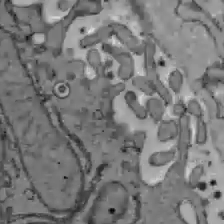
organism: C57BL Mouse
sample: Liver